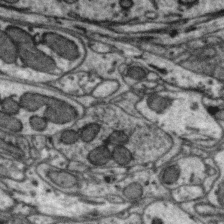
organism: Zebra finch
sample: Brain